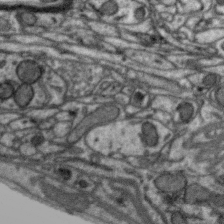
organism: Zebra finch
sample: Brain